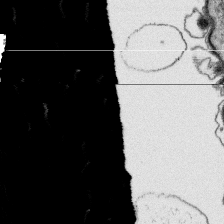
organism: Platynereis dumerilii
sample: Parapodia